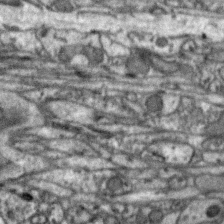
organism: Zebra finch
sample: Brain